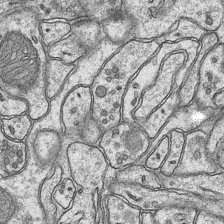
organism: Mouse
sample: CA1 Hippocampus